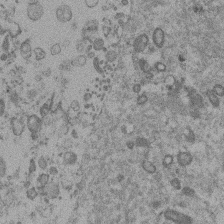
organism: Mouse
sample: Dividing mouse embryo 1 cell stage